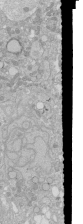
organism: Human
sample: Caco-2 cells